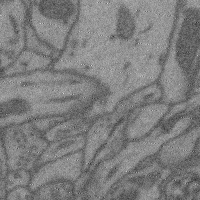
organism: Mouse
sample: Cerebral cortex